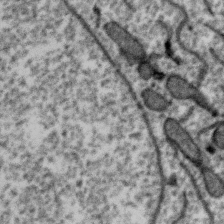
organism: Zebra finch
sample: Brain